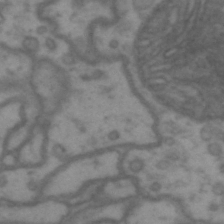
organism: Drosophila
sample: Brain